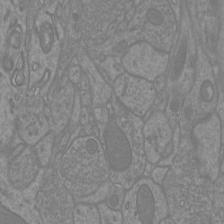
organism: Mouse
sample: Cortical neurons